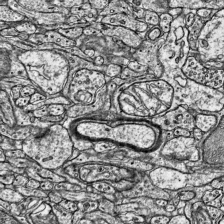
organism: Mouse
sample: Visual Cortex